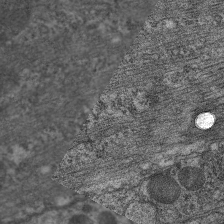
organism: C. elegans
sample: Pharynx